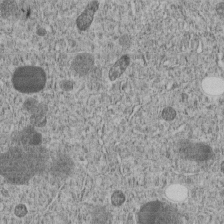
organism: C. elegans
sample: C. elegans embryo early stage